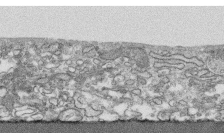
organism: Human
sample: CRL-1474